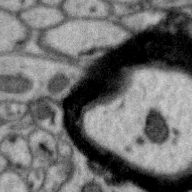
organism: Zebra finch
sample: Brain